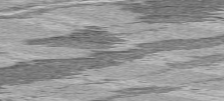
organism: C57BL Mouse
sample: Heart